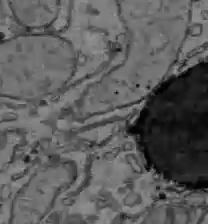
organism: C57BL Mouse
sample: Liver